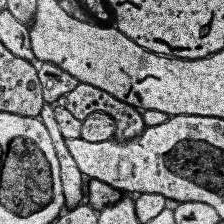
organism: Human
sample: Temporal Lobe